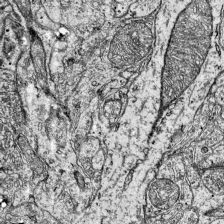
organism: Mouse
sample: Visual Cortex